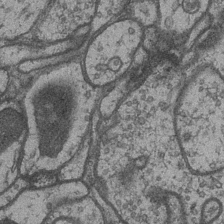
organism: Drosophila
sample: Optic medulla